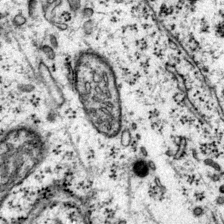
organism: Mouse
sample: Primary visual cortex